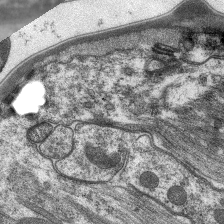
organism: C. elegans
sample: Pharynx